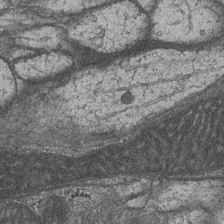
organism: Drosophila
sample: Optic medulla